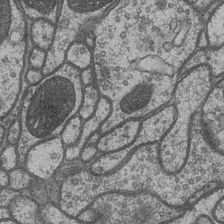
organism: Drosophila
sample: Optic medulla